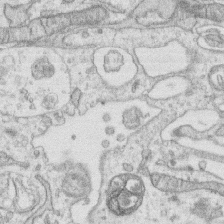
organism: Human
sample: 1205lu cells